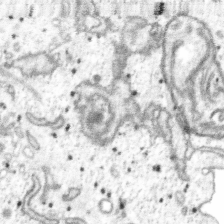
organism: Human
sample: HeLa cells